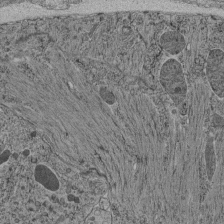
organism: C. elegans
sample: C. elegans pharynx